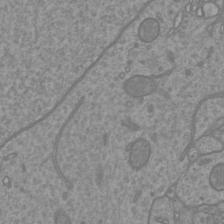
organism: Mouse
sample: Cortical neurons